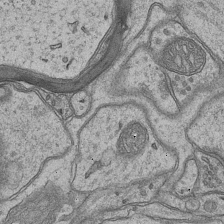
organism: Mouse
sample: CA1 Hippocampus